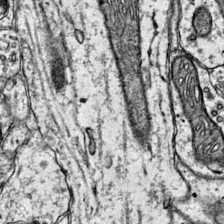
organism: Mouse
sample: Primary visual cortex